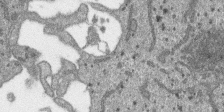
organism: Human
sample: Lung epithelial cells infected with SARS-CoV-2